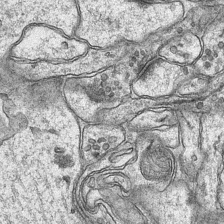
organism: Mouse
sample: CA1 Hippocampus